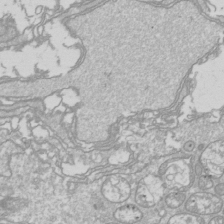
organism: Drosophila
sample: Cell division; meiosis; drosophila spermatocytes